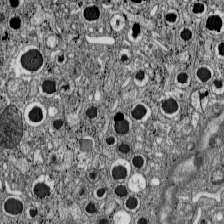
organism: C57BL Mouse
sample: Pancreatic islet